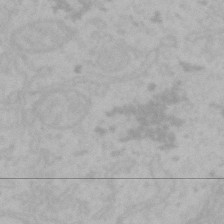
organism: Mouse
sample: Choroid plexus